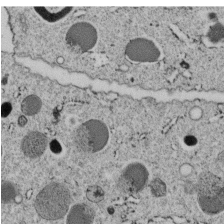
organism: C. elegans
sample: C. elegans embryo early stage